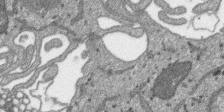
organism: Human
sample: Lung epithelial cells infected with SARS-CoV-2